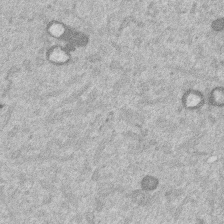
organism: Mouse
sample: Dividing mouse embryo 1 cell stage